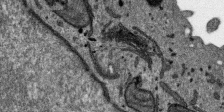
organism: Human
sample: Lung epithelial cells, uninfected (mock) control